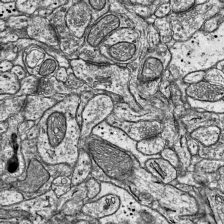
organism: Mouse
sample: Visual Cortex